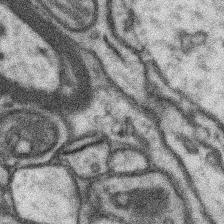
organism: Mouse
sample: Somatosensory cortex neuropil